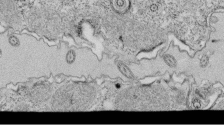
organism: Tetrahymena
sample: Cilia in tetrahymena